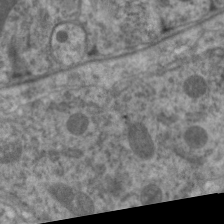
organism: C. elegans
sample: Pharynx